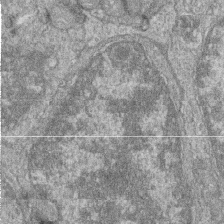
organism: Zebrafish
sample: Cilia; retinal pigment epithelium